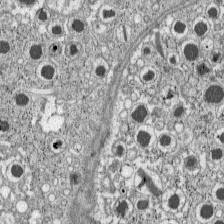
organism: C57BL Mouse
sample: Pancreatic islet